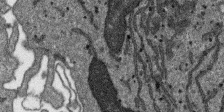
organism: Human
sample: Lung epithelial cells infected with SARS-CoV-2